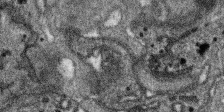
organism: Human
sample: Lung epithelial cells infected with SARS-CoV-2